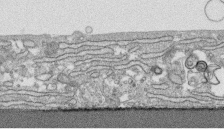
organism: Human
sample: CRL-1474